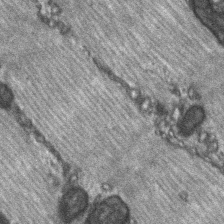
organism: C57BL Mouse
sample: Soleus